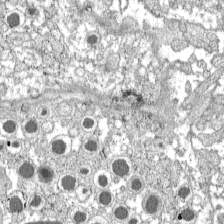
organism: C57BL Mouse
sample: Pancreatic islet